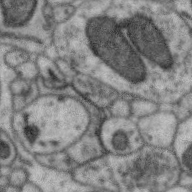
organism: Zebra finch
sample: Brain